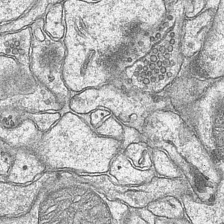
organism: Mouse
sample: CA1 Hippocampus